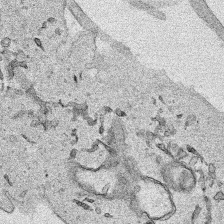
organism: Human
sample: Mitochondria in HCT116 cells